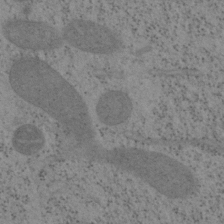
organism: Mouse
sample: OT-I killer T cells with ID8 ovarian cancer cells